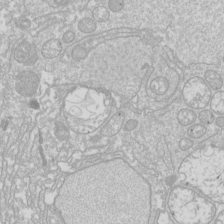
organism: Drosophila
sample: Cell division; meiosis; drosophila spermatocytes